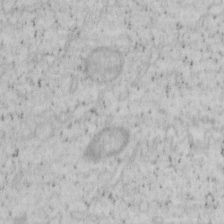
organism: Human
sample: HeLa cells